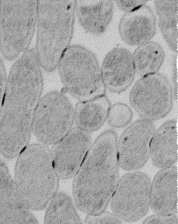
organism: E. coli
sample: Bacterial nucleoid